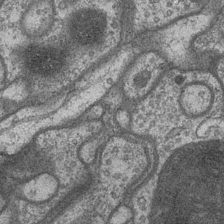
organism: Drosophila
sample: Optic medulla